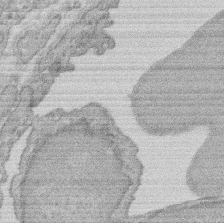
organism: Rat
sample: Salivary granule